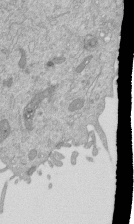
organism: Mouse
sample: ED-1 cell nuclei; centrioles